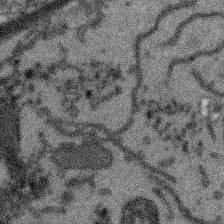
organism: Arabidopsis thaliana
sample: Root tip